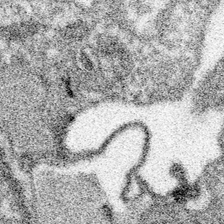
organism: Spongilla lacustris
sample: Neuroid cell